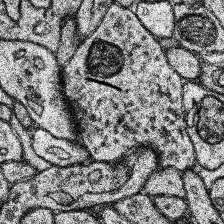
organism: Human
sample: Temporal Lobe